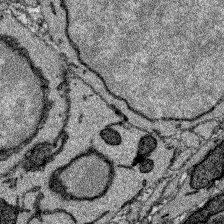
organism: Zebrafish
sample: Larval olfactory bulb